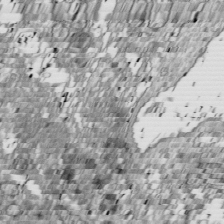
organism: Drosophila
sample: Cell division; meiosis; drosophila spermatocytes